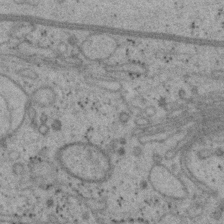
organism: Human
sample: HeLa cells